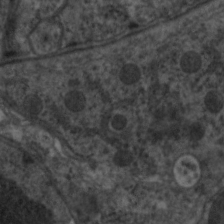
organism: C. elegans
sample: Pharynx